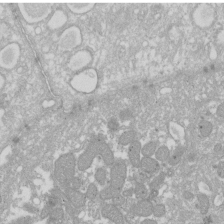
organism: Xenopus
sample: Cilia; centrioles in frog embryo cells